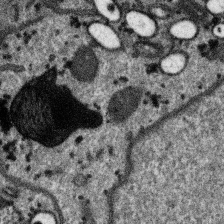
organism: Human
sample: Lung epithelial cells infected with SARS-CoV-2